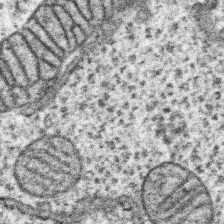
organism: Human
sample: HeLa cells